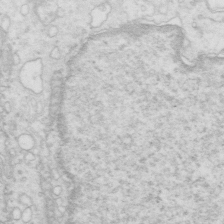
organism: Mouse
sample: Multiciliated cells